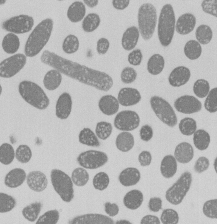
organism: E. coli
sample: Bacterial nucleoid